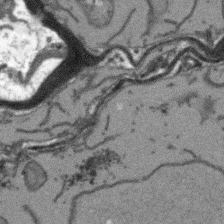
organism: Arabidopsis thaliana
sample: Root tip